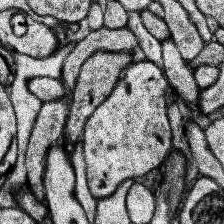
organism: Human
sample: Temporal Lobe